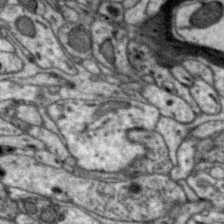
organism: Zebra finch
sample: Brain